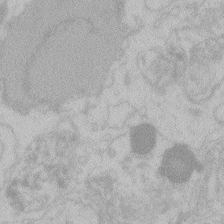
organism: Zebrafish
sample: Macrophage infected with Toxoplasma gondii